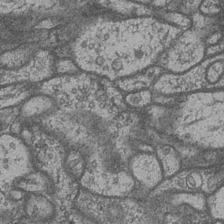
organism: Drosophila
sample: Optic medulla